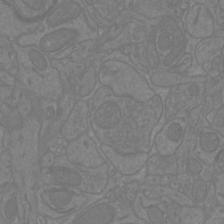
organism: Mouse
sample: Cortical neurons